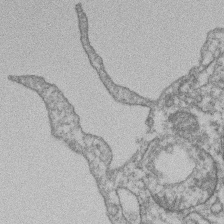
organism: Mouse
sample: T cell stromal cell synapse